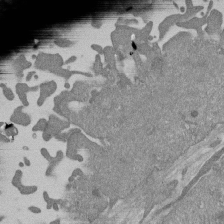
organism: Mouse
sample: ED-1 cell nuclei; centrioles